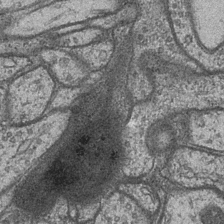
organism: Drosophila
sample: Optic medulla